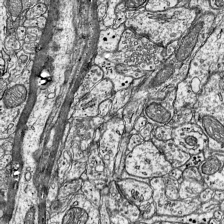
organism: Mouse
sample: Visual Cortex